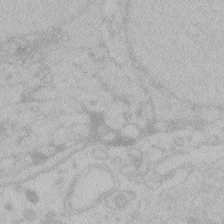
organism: Zebrafish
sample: Macrophage infected with Toxoplasma gondii